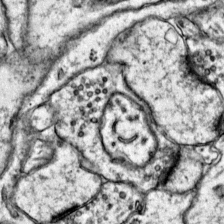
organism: Mouse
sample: Primary visual cortex